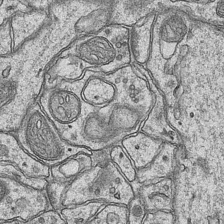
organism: Mouse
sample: CA1 Hippocampus